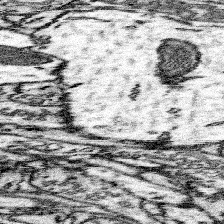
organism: Mouse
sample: Somatosensory cortex neuropil